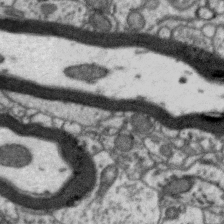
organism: Zebra finch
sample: Brain